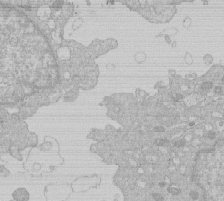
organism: Human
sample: Macrophage cells